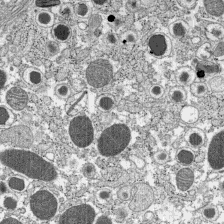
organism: C57BL Mouse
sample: Pancreatic islet